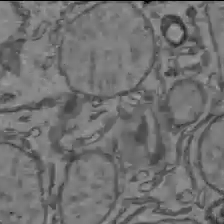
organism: C57BL Mouse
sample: Liver